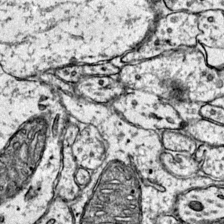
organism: Mouse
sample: Primary visual cortex